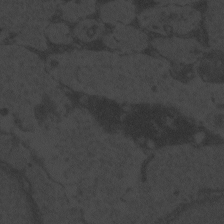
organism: Zebrafish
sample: Macrophage infected with Toxoplasma gondii